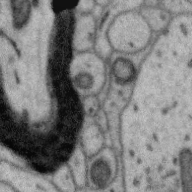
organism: Zebra finch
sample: Brain